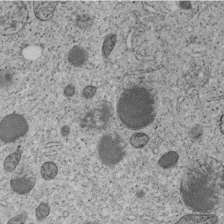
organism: C. elegans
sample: C. elegans embryo early stage